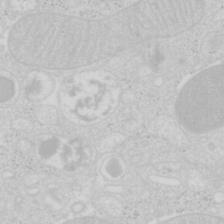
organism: Mouse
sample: Pancreas